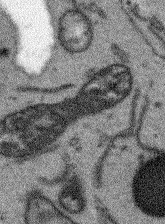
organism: Arabidopsis thaliana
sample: Root tip